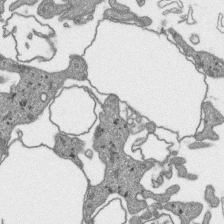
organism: Human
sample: Lung epithelial cells infected with SARS-CoV-2